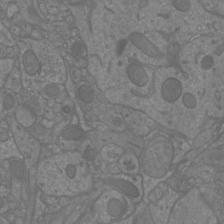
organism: Mouse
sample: Cortical neurons